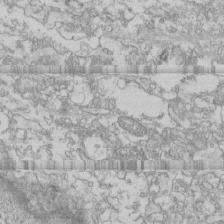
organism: Human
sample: CRL-1474